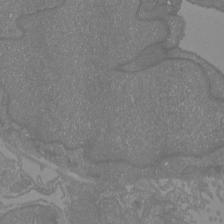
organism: Mouse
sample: Cortical neurons